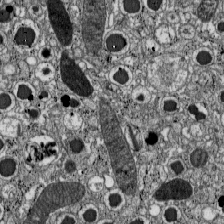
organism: C57BL Mouse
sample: Pancreatic islet